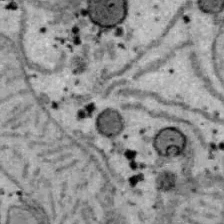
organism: Mouse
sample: Liver from an obese (ob/ob) mouse